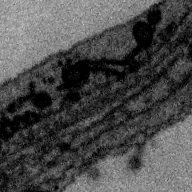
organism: Zebra finch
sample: Brain